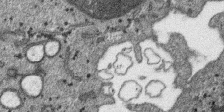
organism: Human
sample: Lung epithelial cells infected with SARS-CoV-2